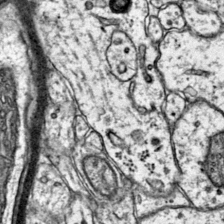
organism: Mouse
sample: Primary visual cortex